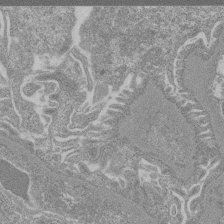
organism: Mouse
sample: Glomerulus